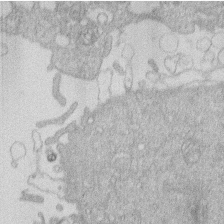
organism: Human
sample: Macrophage cells